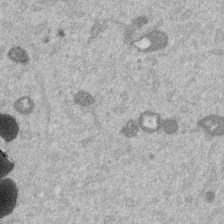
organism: Mouse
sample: Dividing mouse embryo 1 cell stage